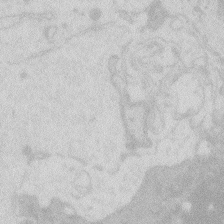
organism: Zebrafish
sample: Macrophage